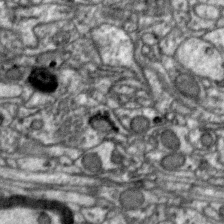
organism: Zebra finch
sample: Brain